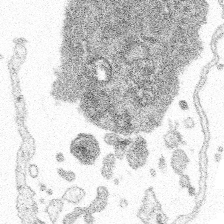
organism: Spongilla lacustris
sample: Multiple